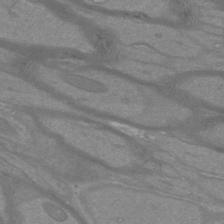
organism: Mouse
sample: Cortical neurons